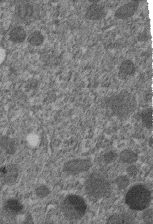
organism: C. elegans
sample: C. elegans embryo early stage